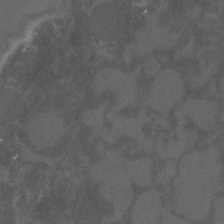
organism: C. elegans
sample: C. elegans embryo